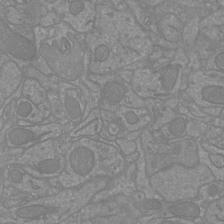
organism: Mouse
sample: Cortical neurons